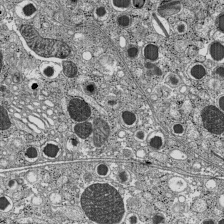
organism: C57BL Mouse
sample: Pancreatic islet